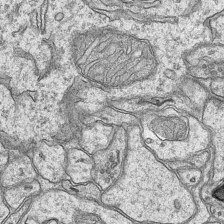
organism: Mouse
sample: CA1 Hippocampus